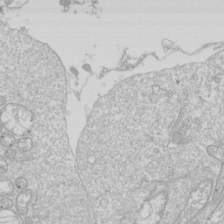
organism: Drosophila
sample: Cell division; meiosis; drosophila spermatocytes